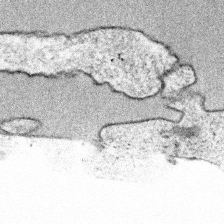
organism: Human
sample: HeLa cells